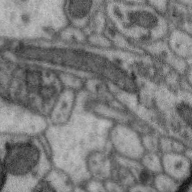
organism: Zebra finch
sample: Brain